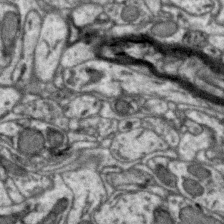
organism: Zebra finch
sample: Brain